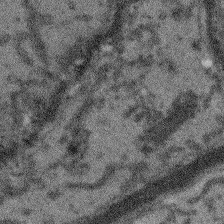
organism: Arabidopsis thaliana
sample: Root tip